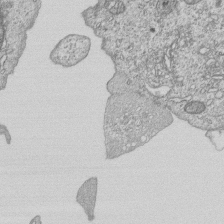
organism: Human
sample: MDA-MB-231 cells